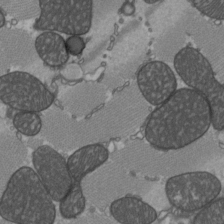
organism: C57BL Mouse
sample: Heart